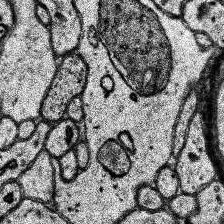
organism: Human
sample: Temporal Lobe